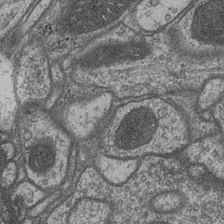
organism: Drosophila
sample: Optic medulla